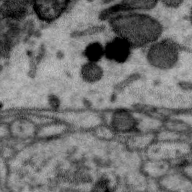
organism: Zebra finch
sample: Brain